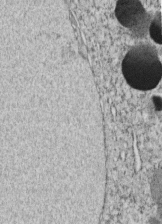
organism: C. elegans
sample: C. elegans embryo early stage